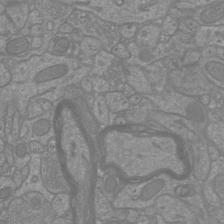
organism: Mouse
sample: Cortical neurons